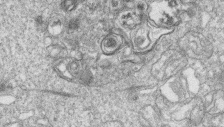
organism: Human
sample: HeLa cell HIV synapse